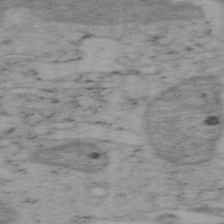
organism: Mouse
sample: OT-I killer T cells with ID8 ovarian cancer cells